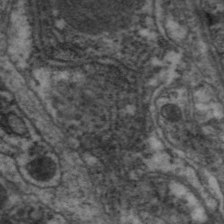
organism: C. elegans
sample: Pharynx